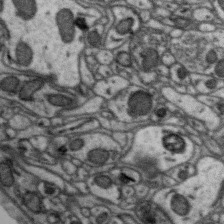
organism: Zebra finch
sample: Brain